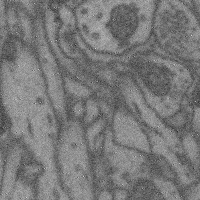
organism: Mouse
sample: Cerebral cortex